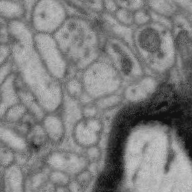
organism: Zebra finch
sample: Brain